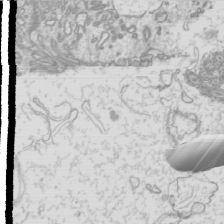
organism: Mouse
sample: Cilia; mouse epididymis